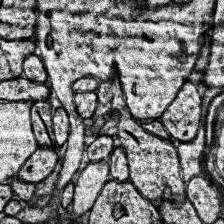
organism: Human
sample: Temporal Lobe